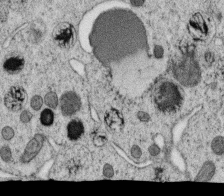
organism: C. elegans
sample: C. elegans oocyte; sperm cells